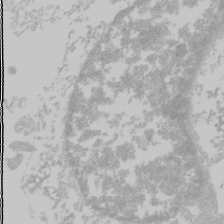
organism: Mouse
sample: Cancer cell death in ED-1 cells